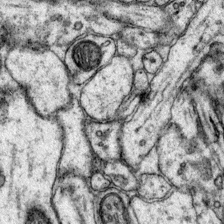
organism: Mouse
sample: Primary visual cortex